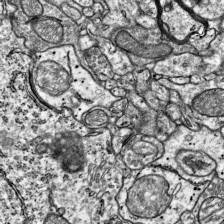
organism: Mouse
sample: Visual Cortex